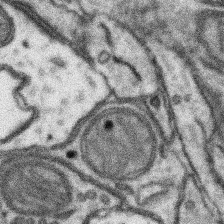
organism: Mouse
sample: Somatosensory cortex neuropil